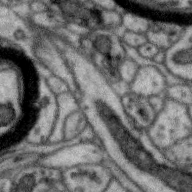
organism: Zebra finch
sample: Brain